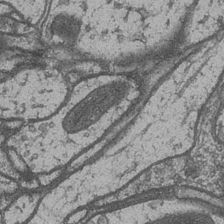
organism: Drosophila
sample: Optic medulla